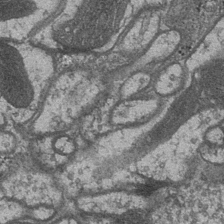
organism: Drosophila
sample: Optic medulla